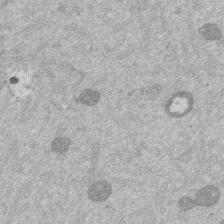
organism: Mouse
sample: Dividing mouse embryo 1 cell stage